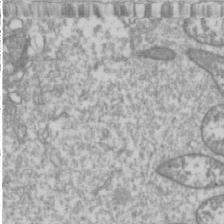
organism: Drosophila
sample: Cell division; meiosis; drosophila spermatocytes